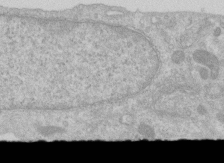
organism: Human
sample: Centriole in RPE cells